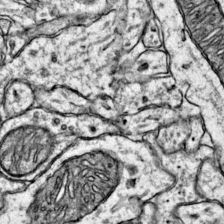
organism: Mouse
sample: Primary visual cortex